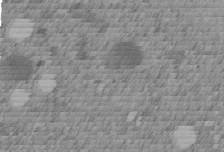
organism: C. elegans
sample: C. elegans embryo early stage